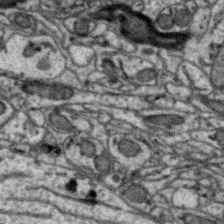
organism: Zebra finch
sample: Brain